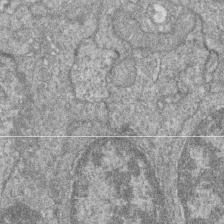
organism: Zebrafish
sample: Cilia; retinal pigment epithelium